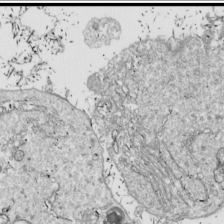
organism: Drosophila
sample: Cell division; meiosis; drosophila spermatocytes